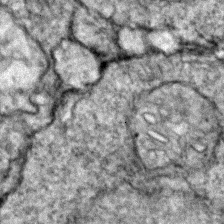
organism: Zebrafish